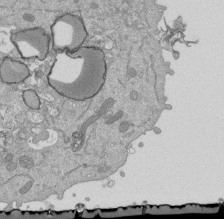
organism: Mouse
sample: ED-1 cell nuclei; centrioles